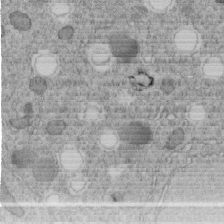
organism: C. elegans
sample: C. elegans embryo early stage